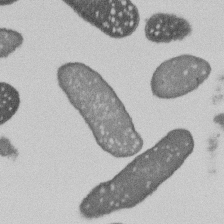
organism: E. coli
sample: Bacterial nucleoid